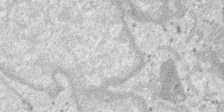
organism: Human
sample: Lung epithelial cells infected with SARS-CoV-2